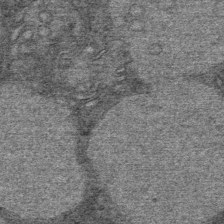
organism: Mouse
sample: Mouse Salivary gland